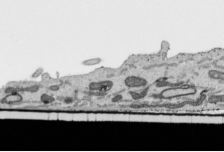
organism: Human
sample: Mitochondria in HCT116 cells